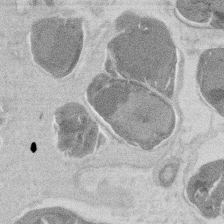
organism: Mouse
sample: T cell stromal cell synapse